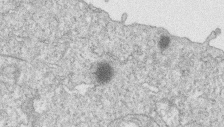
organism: Human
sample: HeLa cell HIV synapse